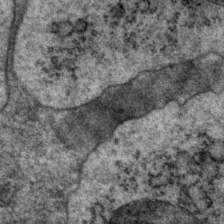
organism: P. pacificus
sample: Pharynx